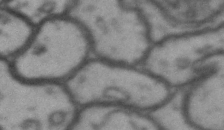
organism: Drosophila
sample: Brain